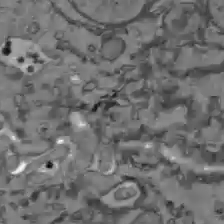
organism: C57BL Mouse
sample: Liver